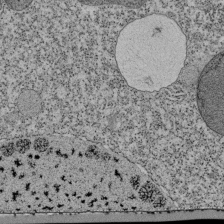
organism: Tetrahymena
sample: Cilia in tetrahymena